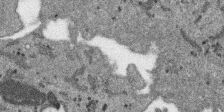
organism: Human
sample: Lung epithelial cells infected with SARS-CoV-2